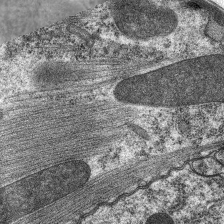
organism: C. elegans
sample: Pharynx